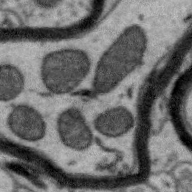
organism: Zebra finch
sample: Brain